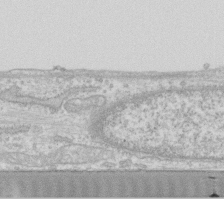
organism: Human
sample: Fibroblast cells